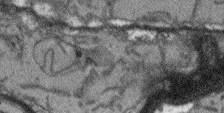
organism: Arabidopsis thaliana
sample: Root tip